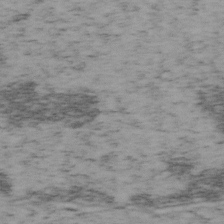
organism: Mouse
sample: OT-I killer T cells with ID8 ovarian cancer cells